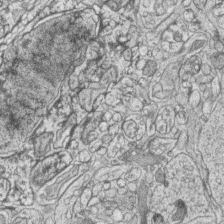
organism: Zebrafish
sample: synaptic ribbons in rod cells and cone cells